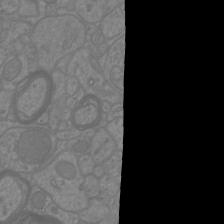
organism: Mouse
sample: Cortical neurons